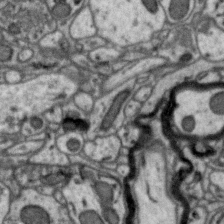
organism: Zebra finch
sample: Brain